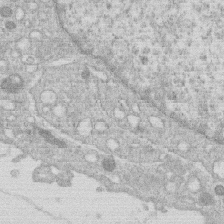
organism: Human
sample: Macrophage cells